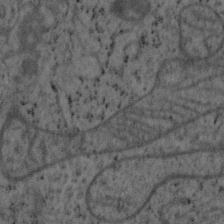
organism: Human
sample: HeLa cells